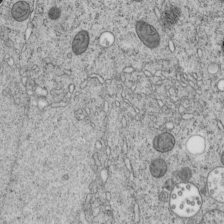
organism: C. elegans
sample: C. elegans embryo early stage